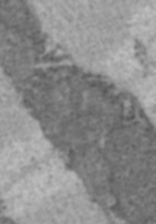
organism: C57BL Mouse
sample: Heart